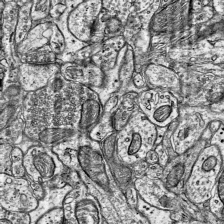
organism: Mouse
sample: Visual Cortex